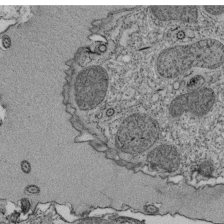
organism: Tetrahymena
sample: Cilia in tetrahymena